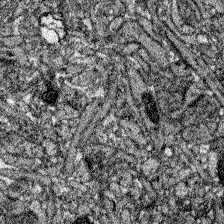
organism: Zebrafish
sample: Larval olfactory bulb